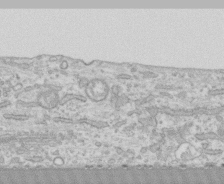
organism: Human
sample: CRL-1474